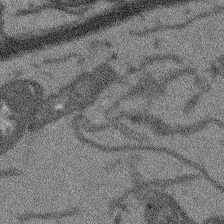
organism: Arabidopsis thaliana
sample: Root tip